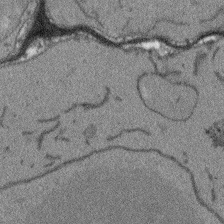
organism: Arabidopsis thaliana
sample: Root tip